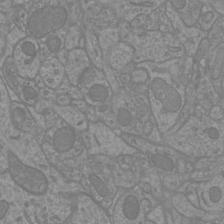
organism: Mouse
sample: Cortical neurons